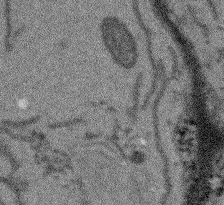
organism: Arabidopsis thaliana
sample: Root tip